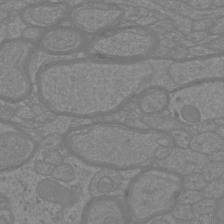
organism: Mouse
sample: Cortical neurons